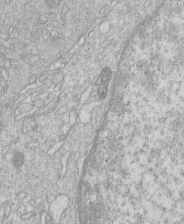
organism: Human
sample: Macrophage cells